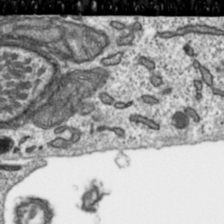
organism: Toxoplasma gondii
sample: Parasites in a vacuole inside a host cell